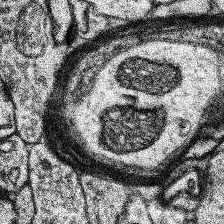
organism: Human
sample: Temporal Lobe